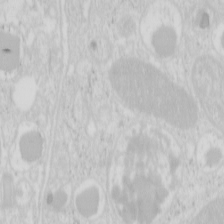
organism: Mouse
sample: Pancreas